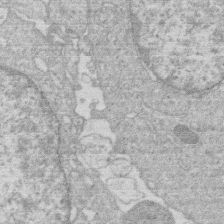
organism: Human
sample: Macrophage cells